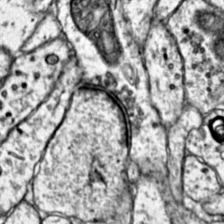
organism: Mouse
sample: Primary visual cortex